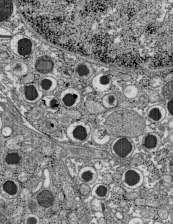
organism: C57BL Mouse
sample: Pancreatic islet